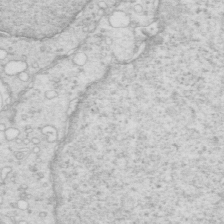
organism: Mouse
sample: Multiciliated cells